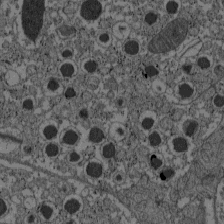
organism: C57BL Mouse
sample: Pancreatic islet